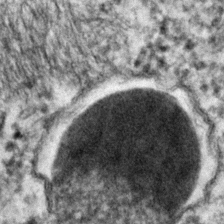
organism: C. elegans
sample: C. elegans embryo